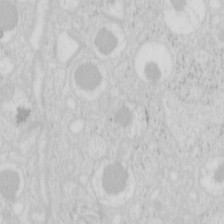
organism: Mouse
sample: Pancreas